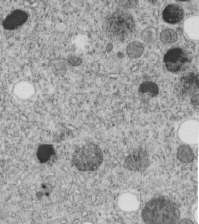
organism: C. elegans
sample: C. elegans embryo early stage